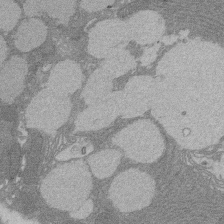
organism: Rat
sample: Salivary granule